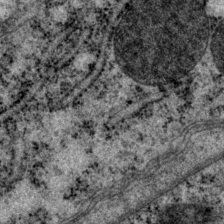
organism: P. pacificus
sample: Pharynx